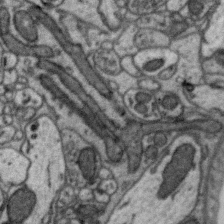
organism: Zebra finch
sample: Brain